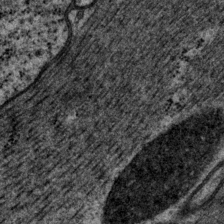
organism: P. pacificus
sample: Pharynx